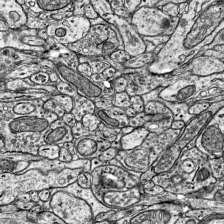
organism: Mouse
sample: Visual Cortex